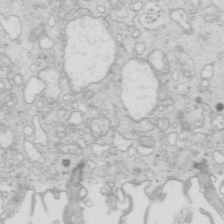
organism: Mouse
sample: Multiciliated cells